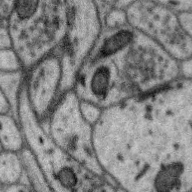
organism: Zebra finch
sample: Brain